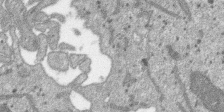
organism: Human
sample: Lung epithelial cells infected with SARS-CoV-2